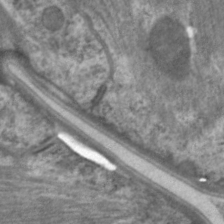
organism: C. elegans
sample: Pharynx